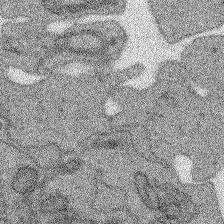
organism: Human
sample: HeLa cells